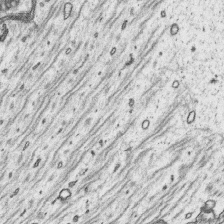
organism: Platynereis dumerilii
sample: Parapodia